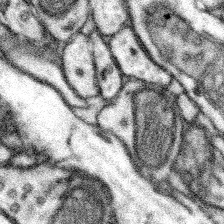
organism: Mouse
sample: Somatosensory cortex neuropil